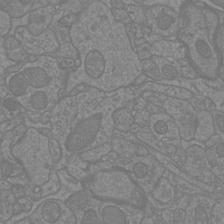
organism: Mouse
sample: Cortical neurons